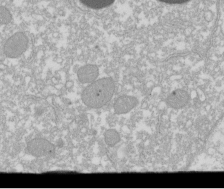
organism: Xenopus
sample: Cilia; centrioles in frog embryo cells